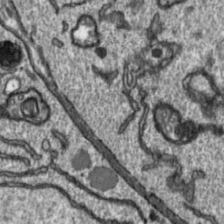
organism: Toxoplasma gondii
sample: Parasites in a vacuole inside a host cell